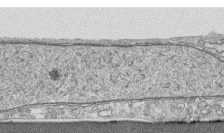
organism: Human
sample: CRL-1474